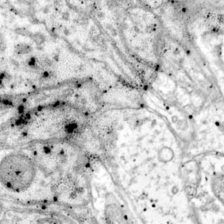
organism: Mouse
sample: Primary visual cortex